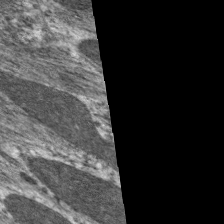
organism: C. elegans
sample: Pharynx